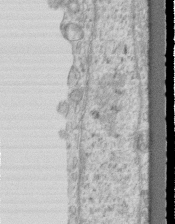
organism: Mouse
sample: Centriole in ependymal cells